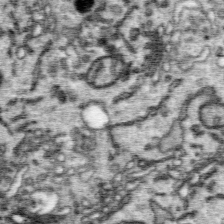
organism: Human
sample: HeLa cells